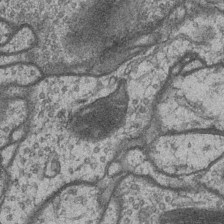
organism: Drosophila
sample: Optic medulla